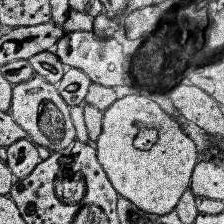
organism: Human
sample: Temporal Lobe